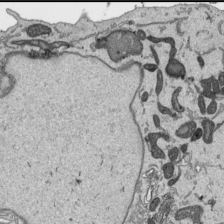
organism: Human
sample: Mitochondria in HCT116 cells